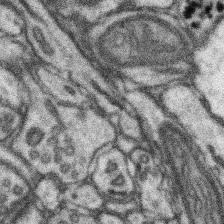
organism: Mouse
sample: Somatosensory cortex neuropil